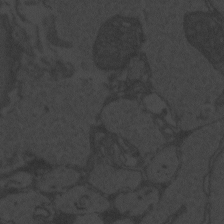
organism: Zebrafish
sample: Macrophage infected with Toxoplasma gondii